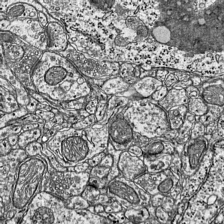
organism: Mouse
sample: Visual Cortex